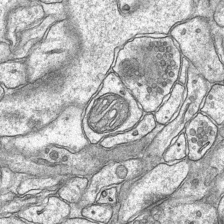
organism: Mouse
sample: CA1 Hippocampus